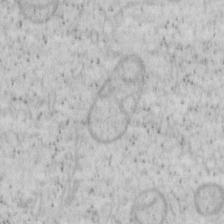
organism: Human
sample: HeLa cells